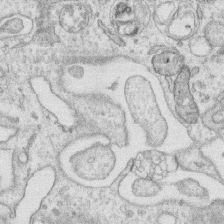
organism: Human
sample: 1205lu cells